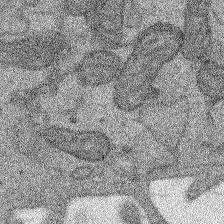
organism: Human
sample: HeLa cells